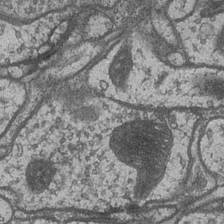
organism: Drosophila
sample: Optic medulla